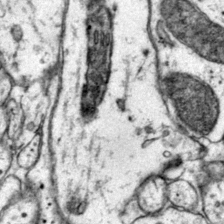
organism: Mouse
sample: Primary visual cortex